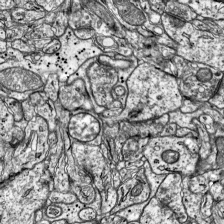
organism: Mouse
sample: Visual Cortex